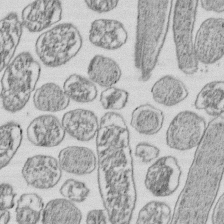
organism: E. coli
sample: Bacterial nucleoid